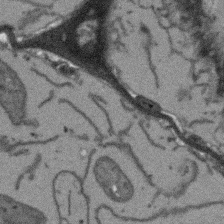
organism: Arabidopsis thaliana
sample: Root tip